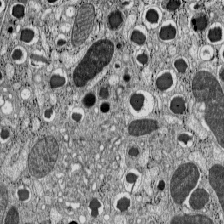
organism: C57BL Mouse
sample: Pancreatic islet